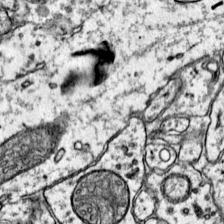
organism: Mouse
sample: Primary visual cortex